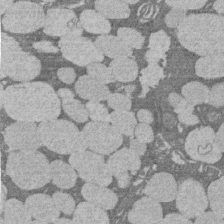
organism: Rat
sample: Salivary granule